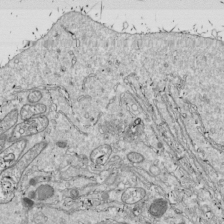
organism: Drosophila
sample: Cell division; meiosis; drosophila spermatocytes